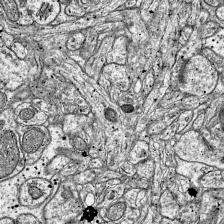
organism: Mouse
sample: Visual Cortex